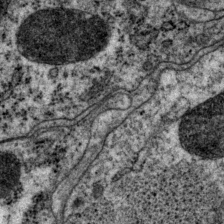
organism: P. pacificus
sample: Pharynx